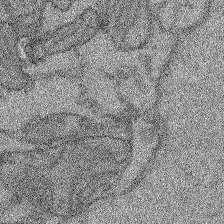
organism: Human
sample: HeLa cells